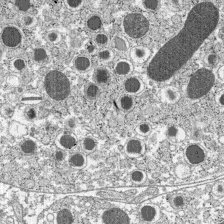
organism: C57BL Mouse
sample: Pancreatic islet